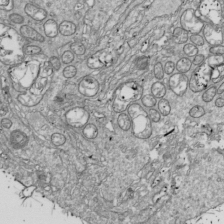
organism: Drosophila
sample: Cell division; meiosis; drosophila spermatocytes